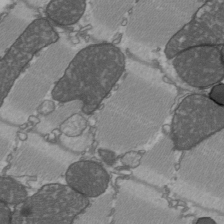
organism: C57BL Mouse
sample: Heart